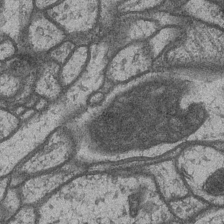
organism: Drosophila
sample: Optic medulla